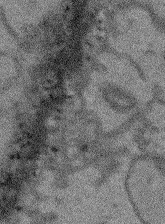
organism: Arabidopsis thaliana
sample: Root tip